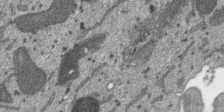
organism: Human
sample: Lung epithelial cells infected with SARS-CoV-2